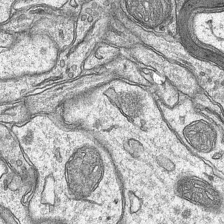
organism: Mouse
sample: CA1 Hippocampus